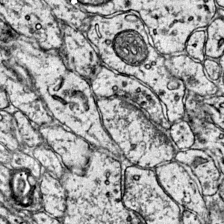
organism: Mouse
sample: Primary visual cortex